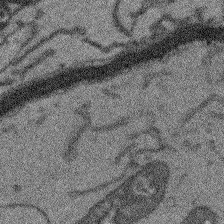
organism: Arabidopsis thaliana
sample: Root tip